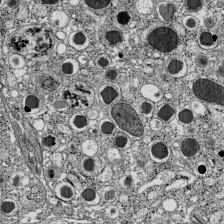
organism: C57BL Mouse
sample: Pancreatic islet